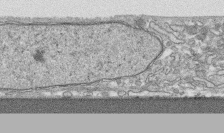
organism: Human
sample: CRL-1474